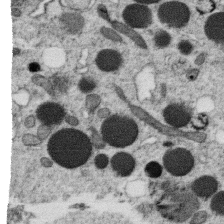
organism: C. elegans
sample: C. elegans oocyte; sperm cells